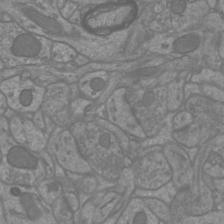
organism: Mouse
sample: Cortical neurons